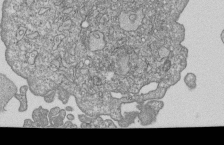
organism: Human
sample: MDA-MB-231 cells